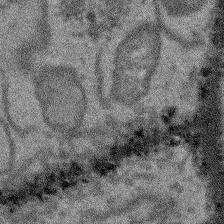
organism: Arabidopsis thaliana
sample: Root tip